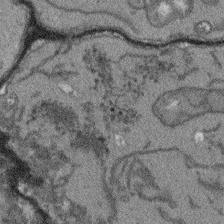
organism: Arabidopsis thaliana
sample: Root tip